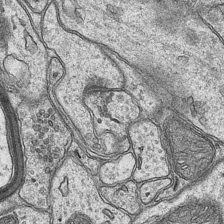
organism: Mouse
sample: CA1 Hippocampus